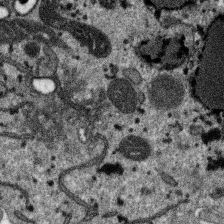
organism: Human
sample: Lung epithelial cells infected with SARS-CoV-2